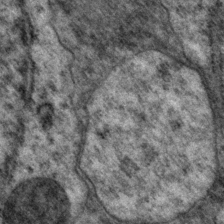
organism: P. pacificus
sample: Pharynx